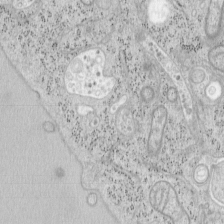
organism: Mouse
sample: OT-I killer T cells with ID8 ovarian cancer cells